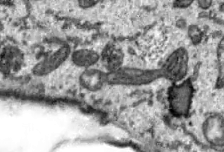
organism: Human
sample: HeLa cells